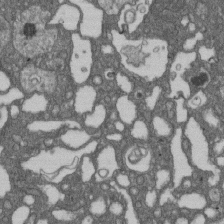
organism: Drosophila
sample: Nephrocyte